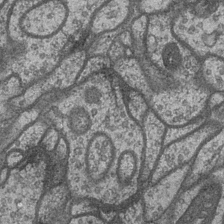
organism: Drosophila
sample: Optic medulla